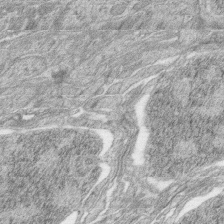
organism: Zebrafish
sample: synaptic ribbons in rod cells and cone cells